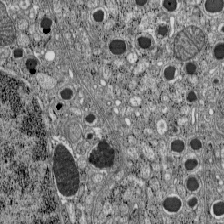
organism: C57BL Mouse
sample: Pancreatic islet